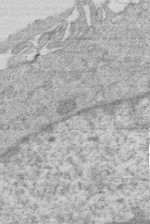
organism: Human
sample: Macrophage cells